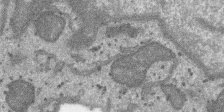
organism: Human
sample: Lung epithelial cells infected with SARS-CoV-2